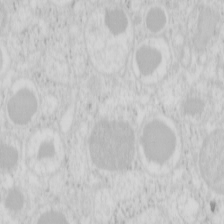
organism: Mouse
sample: Pancreas